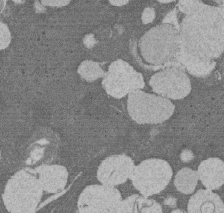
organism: Rat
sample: Salivary granule